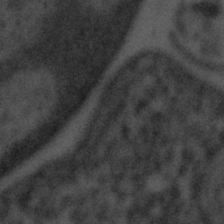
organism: Tuwongella immobilis